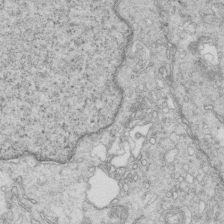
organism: Mouse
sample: Multiciliated cells